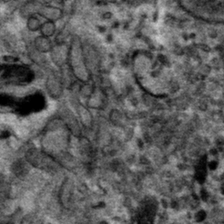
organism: Mouse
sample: Mouse hepatocytes